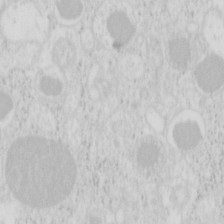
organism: Mouse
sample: Pancreas